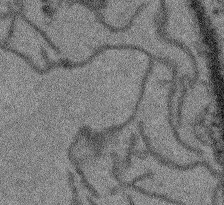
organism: Arabidopsis thaliana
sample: Root tip